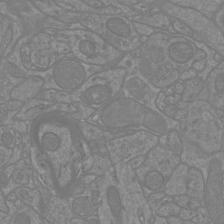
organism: Mouse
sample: Cortical neurons